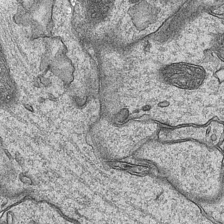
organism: Mouse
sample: CA1 Hippocampus